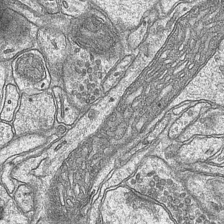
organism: Mouse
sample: CA1 Hippocampus